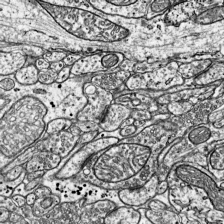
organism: Mouse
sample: Visual Cortex